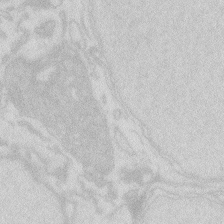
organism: Zebrafish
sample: Macrophage